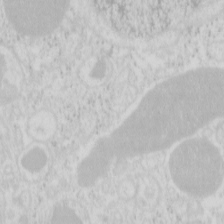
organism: Mouse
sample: Pancreas